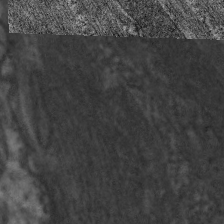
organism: C. elegans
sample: Pharynx